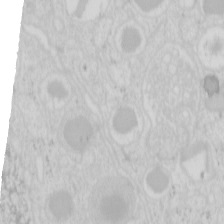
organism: Mouse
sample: Pancreas